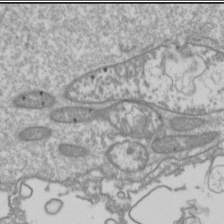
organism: Drosophila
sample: Cell division; meiosis; drosophila spermatocytes